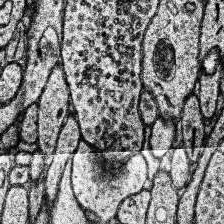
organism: Human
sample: Temporal Lobe